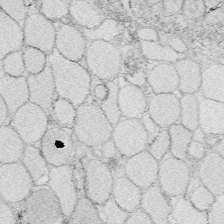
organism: Zebrafish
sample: Whole-Brain